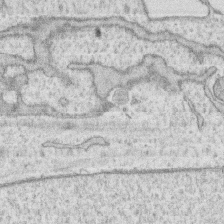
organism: Human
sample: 1205lu cells